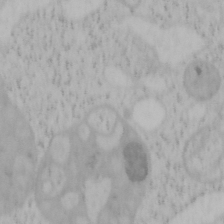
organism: Mouse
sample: OT-I killer T cells with ID8 ovarian cancer cells